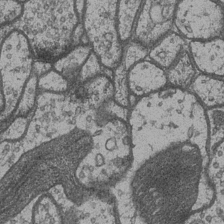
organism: Drosophila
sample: Optic medulla